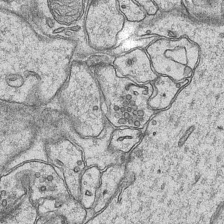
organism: Mouse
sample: CA1 Hippocampus